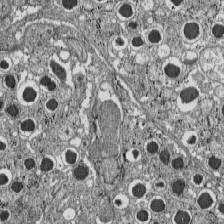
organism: C57BL Mouse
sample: Pancreatic islet